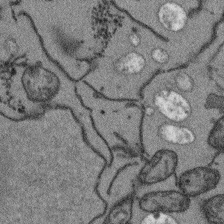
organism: Arabidopsis thaliana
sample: Root tip